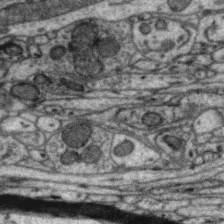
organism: Zebra finch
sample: Brain